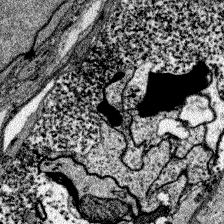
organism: Zebrafish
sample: Larval olfactory bulb